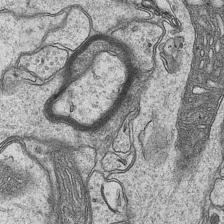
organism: Mouse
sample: CA1 Hippocampus